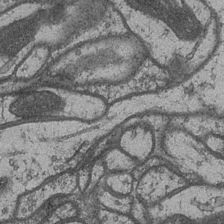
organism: Drosophila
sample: Optic medulla